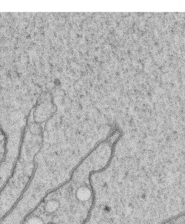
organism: C. elegans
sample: C. elegans oocyte; sperm cells